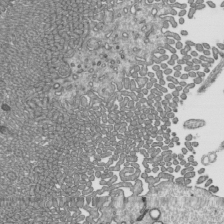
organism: Mouse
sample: Mouse epididymis efferent ductule cilia